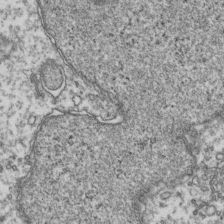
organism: Human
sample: Activated Jurkat CD4+ T cells